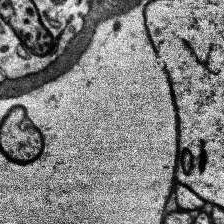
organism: Human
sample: Temporal Lobe